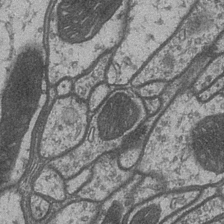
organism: Drosophila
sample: Optic medulla